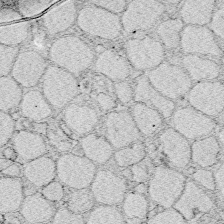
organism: Zebrafish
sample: Whole-Brain